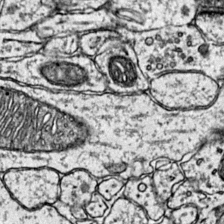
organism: Mouse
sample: Primary visual cortex